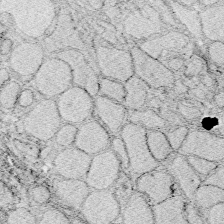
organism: Zebrafish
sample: Whole-Brain